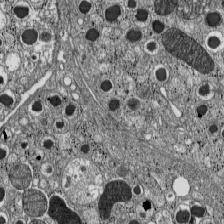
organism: C57BL Mouse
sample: Pancreatic islet